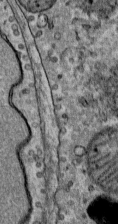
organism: Mouse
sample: Mouse Salivary gland